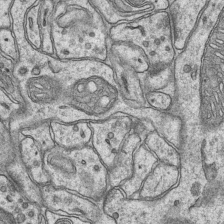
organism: Mouse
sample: CA1 Hippocampus